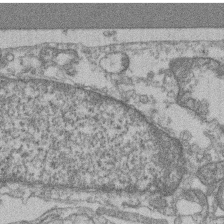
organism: Mouse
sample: T cell stromal cell synapse